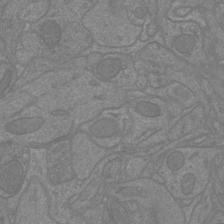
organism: Mouse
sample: Cortical neurons